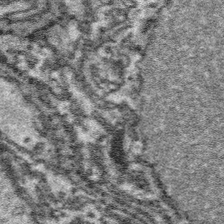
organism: Platynereis dumerilii